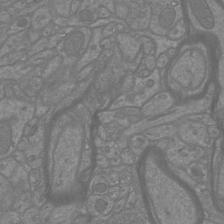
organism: Mouse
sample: Cortical neurons